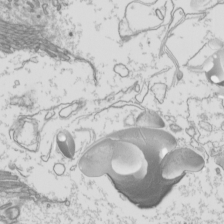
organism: Mouse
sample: Cilia; mouse epididymis